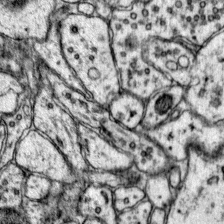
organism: Mouse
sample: Primary visual cortex